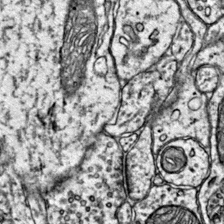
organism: Mouse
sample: Primary visual cortex